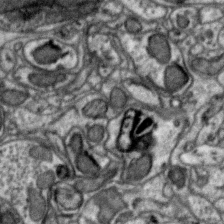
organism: Zebra finch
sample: Brain